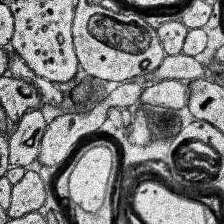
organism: Human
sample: Temporal Lobe